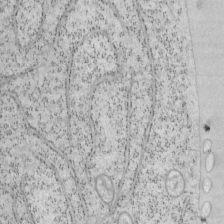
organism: Mouse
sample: OT-I killer T cells with ID8 ovarian cancer cells